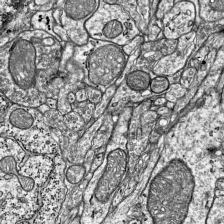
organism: Mouse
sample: Visual Cortex